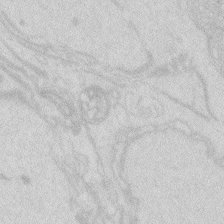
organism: Zebrafish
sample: Macrophage